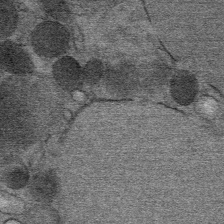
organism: Mouse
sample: Mouse Salivary gland